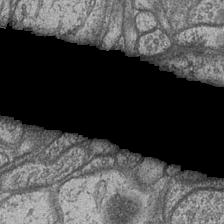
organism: Drosophila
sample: Optic medulla